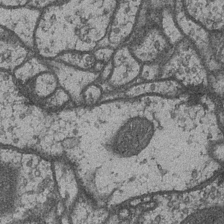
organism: Drosophila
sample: Optic medulla